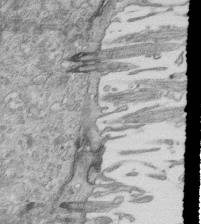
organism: Mouse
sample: Multiciliated cells